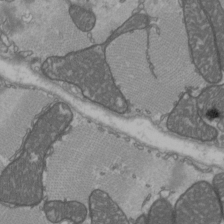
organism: C57BL Mouse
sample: Heart